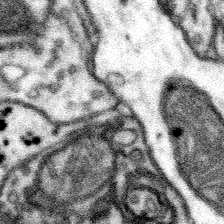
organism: Mouse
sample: Somatosensory cortex neuropil